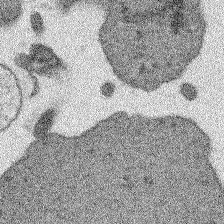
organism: Human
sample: HeLa cells